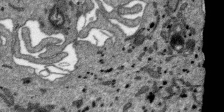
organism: Human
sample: Lung epithelial cells, uninfected (mock) control